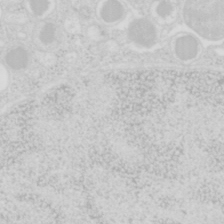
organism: Mouse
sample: Pancreas